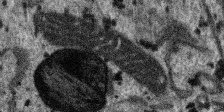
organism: Human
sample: Lung epithelial cells infected with SARS-CoV-2